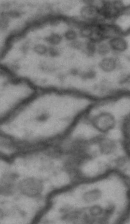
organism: Drosophila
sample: Brain